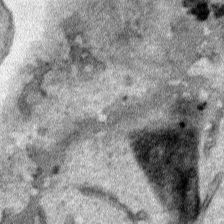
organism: Human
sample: Mitochondria in HCT116 cells